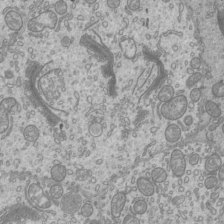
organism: Mouse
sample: Cilia; mouse epididymis